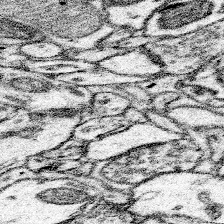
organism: Mouse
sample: Somatosensory cortex neuropil